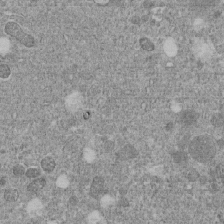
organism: C. elegans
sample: C. elegans embryo early stage